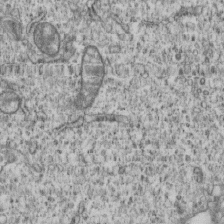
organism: Human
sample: MDA-MB-231 cells